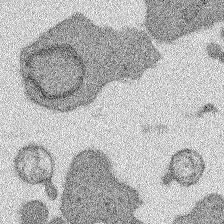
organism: Human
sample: HeLa cells